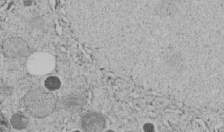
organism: C. elegans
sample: C. elegans embryo early stage